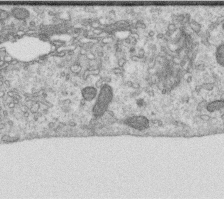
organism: Human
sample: Centriole in RPE cells